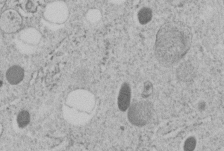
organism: C. elegans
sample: C. elegans embryo early stage